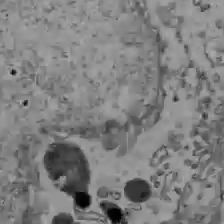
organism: C57BL Mouse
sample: Liver